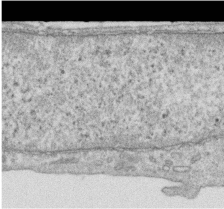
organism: Human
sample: Centriole in RPE cells